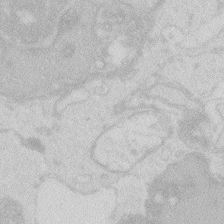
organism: Zebrafish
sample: Macrophage